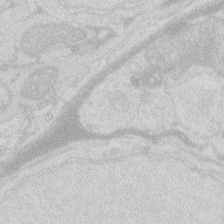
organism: Zebrafish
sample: Macrophage